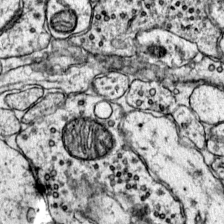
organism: Mouse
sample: Primary visual cortex